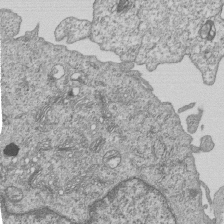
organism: Human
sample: MDA-MB-231 cells